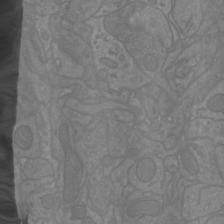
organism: Mouse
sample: Cortical neurons